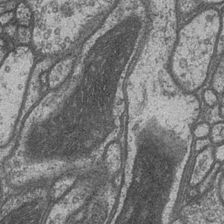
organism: Drosophila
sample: Optic medulla